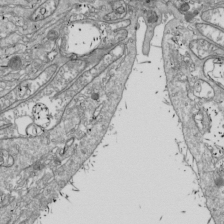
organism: Drosophila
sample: Cell division; meiosis; drosophila spermatocytes